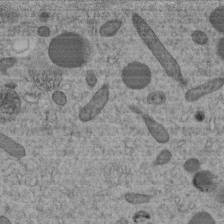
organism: C. elegans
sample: C. elegans embryo early stage